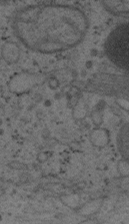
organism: Human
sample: HeLa cells